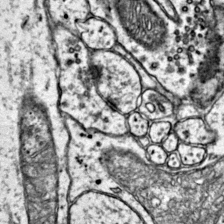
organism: Mouse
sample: Primary visual cortex